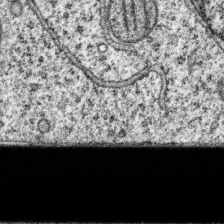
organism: Human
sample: HeLa cells